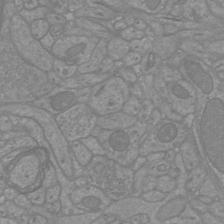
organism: Mouse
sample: Cortical neurons